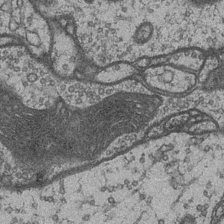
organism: Drosophila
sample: Optic medulla